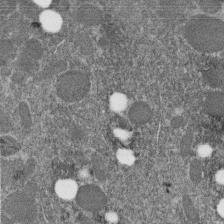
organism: C. elegans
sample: C. elegans embryo early stage